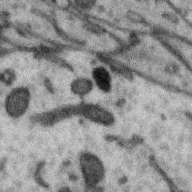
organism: Zebra finch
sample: Brain